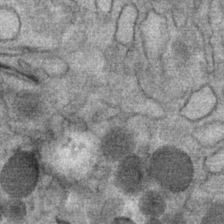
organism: Mouse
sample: Mouse Salivary gland